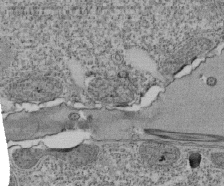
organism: Tetrahymena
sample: Cilia in tetrahymena